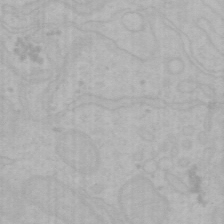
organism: Mouse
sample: Choroid plexus